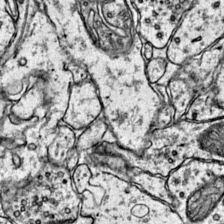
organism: Mouse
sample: Primary visual cortex